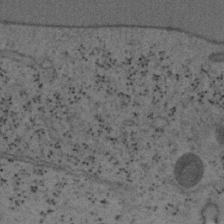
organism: Human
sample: HeLa cells